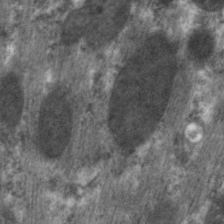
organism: C. elegans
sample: Pharynx